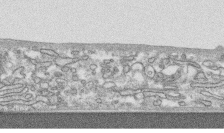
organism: Human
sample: CRL-1474